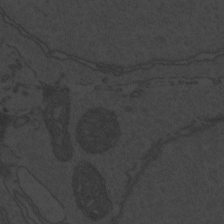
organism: Zebrafish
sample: Macrophage infected with Toxoplasma gondii